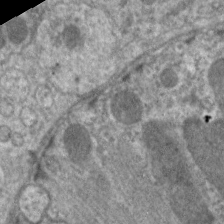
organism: C. elegans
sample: Pharynx